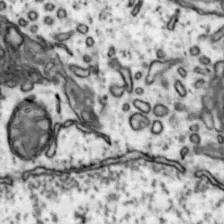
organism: Mouse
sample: Nucleus accumbens